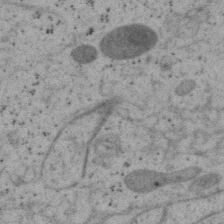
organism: Human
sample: HeLa cells